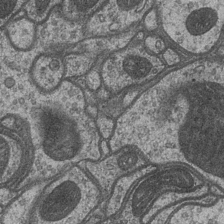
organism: Drosophila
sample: Optic medulla